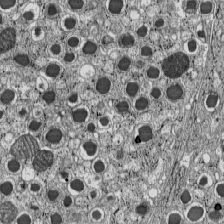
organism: C57BL Mouse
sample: Pancreatic islet